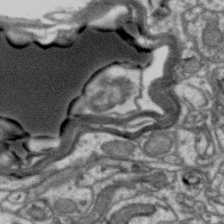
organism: Zebra finch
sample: Brain